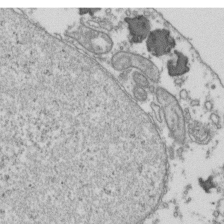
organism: Human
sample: Activated Jurkat CD4+ T cells